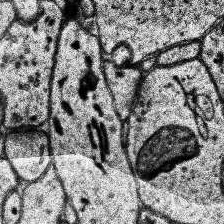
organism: Human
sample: Temporal Lobe